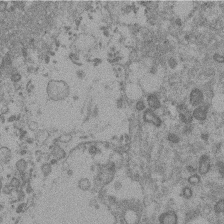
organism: Mouse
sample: Dividing mouse embryo 1 cell stage